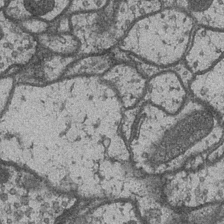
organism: Drosophila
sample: Optic medulla